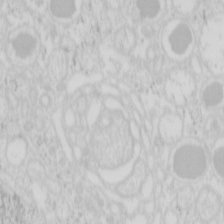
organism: Mouse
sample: Pancreas